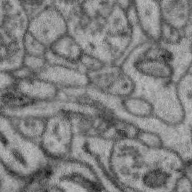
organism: Zebra finch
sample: Brain